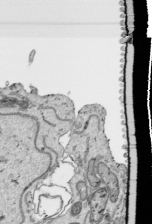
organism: Human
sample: Mitochondria in HCT116 cells